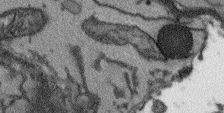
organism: Arabidopsis thaliana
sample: Root tip